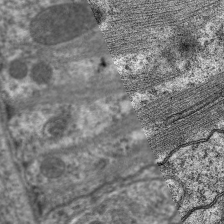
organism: C. elegans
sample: Pharynx